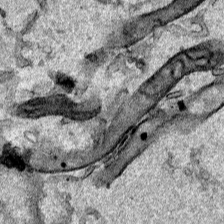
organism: Human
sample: Mitochondria in HCT116 cells